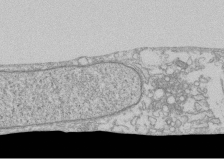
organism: Human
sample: CRL-1474